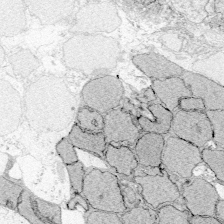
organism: Zebrafish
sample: Whole-Brain